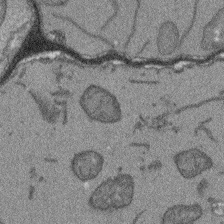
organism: Arabidopsis thaliana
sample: Root tip